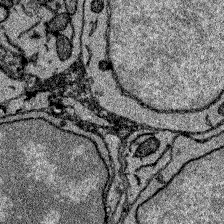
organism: Zebrafish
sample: Larval olfactory bulb